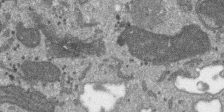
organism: Human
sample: Lung epithelial cells infected with SARS-CoV-2